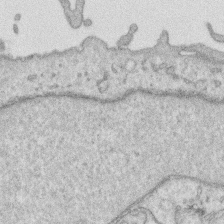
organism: Human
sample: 1205lu cells